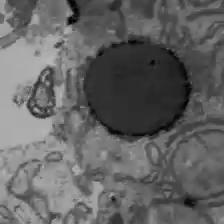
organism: C57BL Mouse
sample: Liver